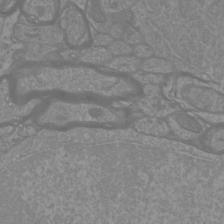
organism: Mouse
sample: Cortical neurons